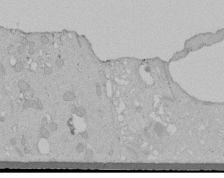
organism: Human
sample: Melanocyte Keratinocyte synapse skin construct